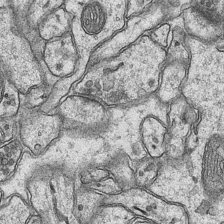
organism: Mouse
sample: CA1 Hippocampus